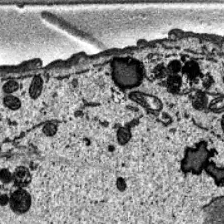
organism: Human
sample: HeLa cells